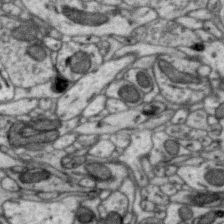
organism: Zebra finch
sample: Brain